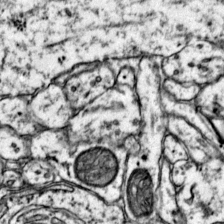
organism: Mouse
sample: Primary visual cortex